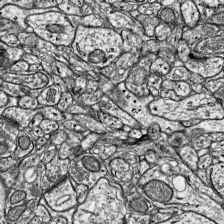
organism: Mouse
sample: Visual Cortex